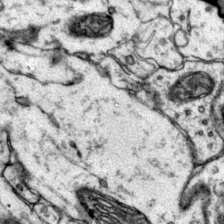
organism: Mouse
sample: Primary visual cortex